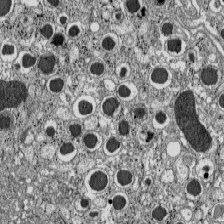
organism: C57BL Mouse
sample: Pancreatic islet